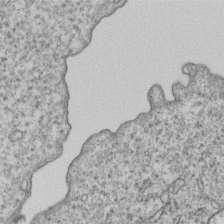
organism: Human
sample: MDA-MB-231 cells